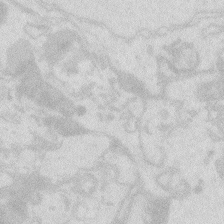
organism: Zebrafish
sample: Macrophage